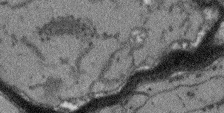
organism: Arabidopsis thaliana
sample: Root tip